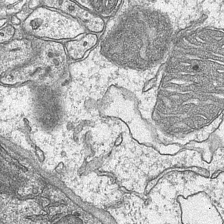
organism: Mouse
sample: CA1 Hippocampus